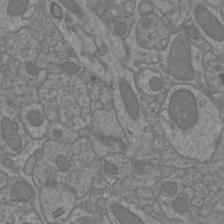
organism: Mouse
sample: Cortical neurons